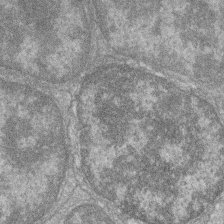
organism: Zebrafish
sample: Cilia; retinal pigment epithelium